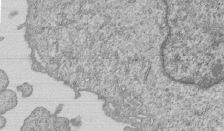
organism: Human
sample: MDA-MB-231 cells